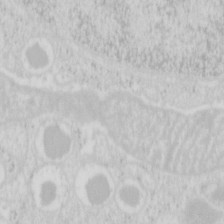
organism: Mouse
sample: Pancreas